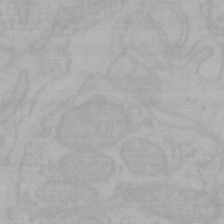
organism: Mouse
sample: Choroid plexus